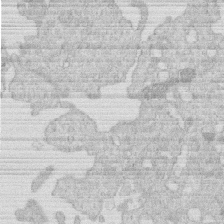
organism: Human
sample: Macrophage cells